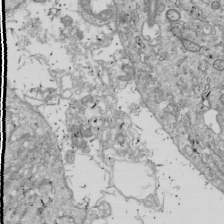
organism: Drosophila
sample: Cell division; meiosis; drosophila spermatocytes